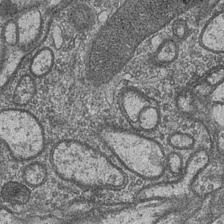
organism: Drosophila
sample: Optic medulla